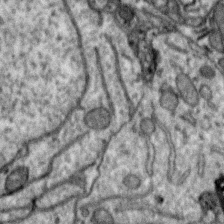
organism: Zebra finch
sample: Brain